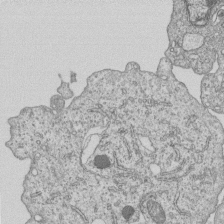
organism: Human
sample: MDA-MB-231 cells